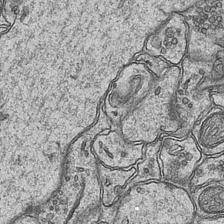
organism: Mouse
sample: CA1 Hippocampus